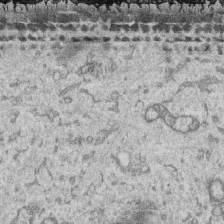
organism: Human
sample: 1205lu cells